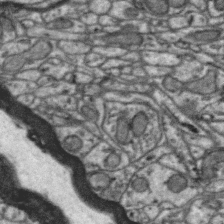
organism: Zebra finch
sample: Brain